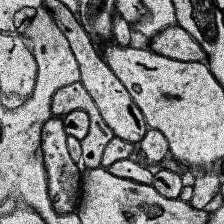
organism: Human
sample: Temporal Lobe